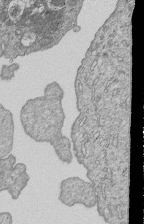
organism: Human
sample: MDA-MB-231 cells